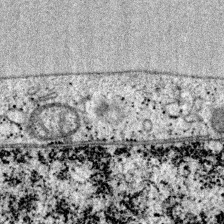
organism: Human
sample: HeLa cells